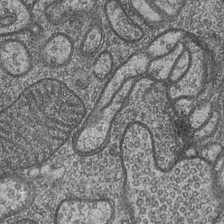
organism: Drosophila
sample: Optic medulla